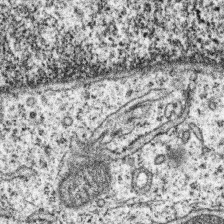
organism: Human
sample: HeLa cells